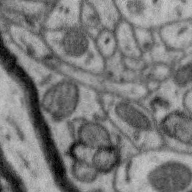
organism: Zebra finch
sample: Brain